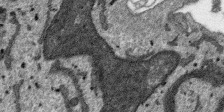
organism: Human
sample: Lung epithelial cells, uninfected (mock) control